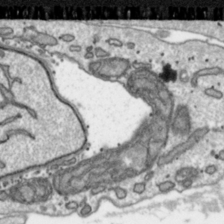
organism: Toxoplasma gondii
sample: Parasites in a vacuole inside a host cell